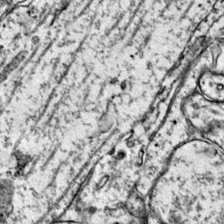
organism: Mouse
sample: Primary visual cortex